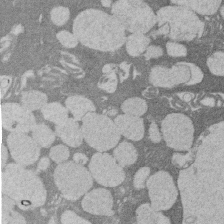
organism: Rat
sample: Salivary granule